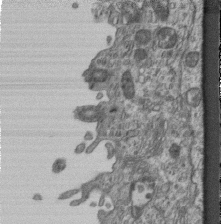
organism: Mouse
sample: Centriole in ependymal cells